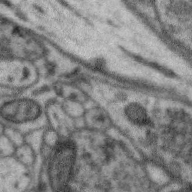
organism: Zebra finch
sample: Brain